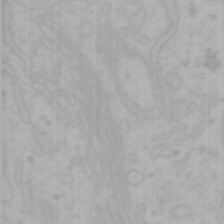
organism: Mouse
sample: Choroid plexus